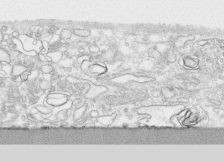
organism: Human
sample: CRL-1474